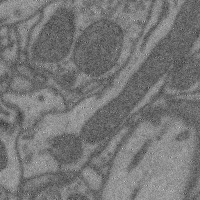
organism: Mouse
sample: Cerebral cortex